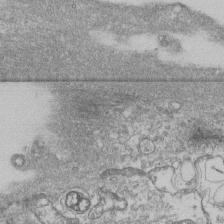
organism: Human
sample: Fibroblast cells